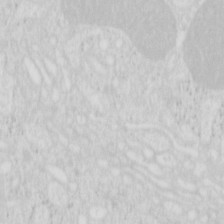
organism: Mouse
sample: Pancreas